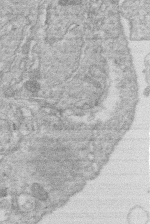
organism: Human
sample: Macrophage cells